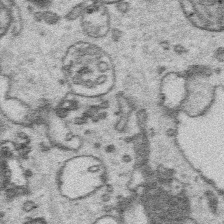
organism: Platynereis dumerilii